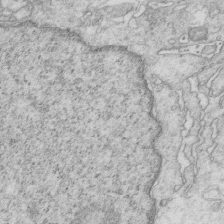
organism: Mouse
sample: Multiciliated cells